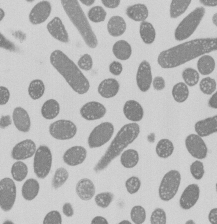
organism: E. coli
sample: Bacterial nucleoid